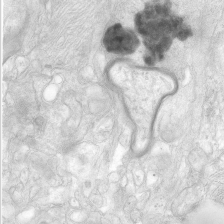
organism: Human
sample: Neocortex